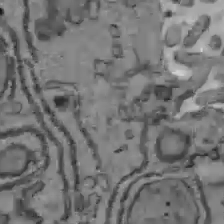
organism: C57BL Mouse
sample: Liver